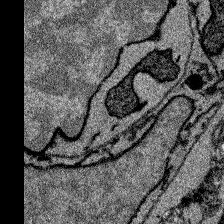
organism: Zebrafish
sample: Larval olfactory bulb